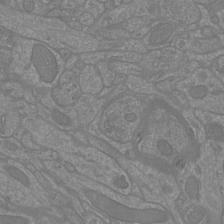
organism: Mouse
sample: Cortical neurons